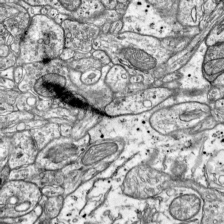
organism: Mouse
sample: Visual Cortex